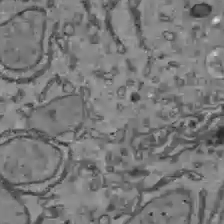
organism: C57BL Mouse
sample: Liver